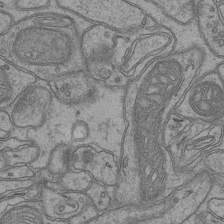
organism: Mouse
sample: CA1 Hippocampus